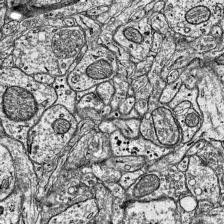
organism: Mouse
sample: Visual Cortex